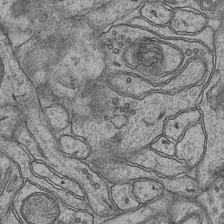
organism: Mouse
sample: CA1 Hippocampus